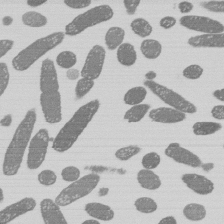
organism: E. coli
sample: Bacterial nucleoid